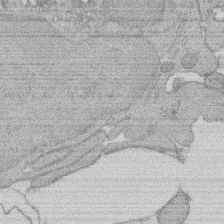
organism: Rat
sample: Salivary granule